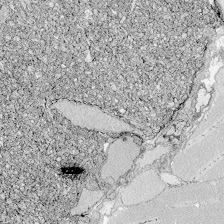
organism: Zebrafish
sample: Whole-Brain